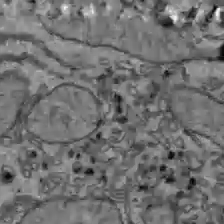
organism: C57BL Mouse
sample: Liver